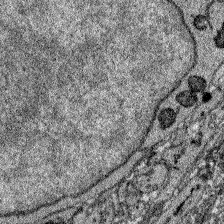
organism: Zebrafish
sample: Larval olfactory bulb